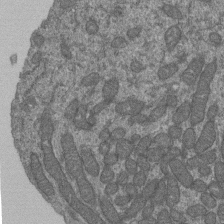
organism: Human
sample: Retinal organoid Rod and Cone cells